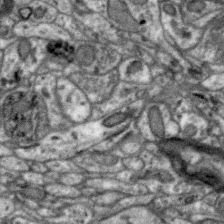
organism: Zebra finch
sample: Brain